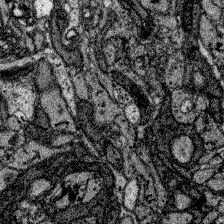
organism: Zebrafish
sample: Larval olfactory bulb